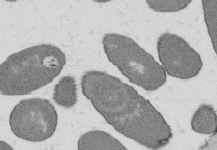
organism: B. subtilis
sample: Bacterial spore